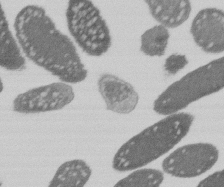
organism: E. coli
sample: Bacterial nucleoid